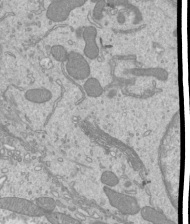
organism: Mouse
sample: Cilia; mouse epididymis